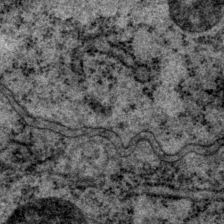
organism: P. pacificus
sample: Pharynx